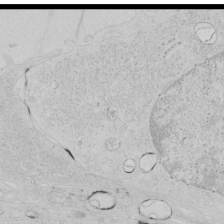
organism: Human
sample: Mitochondria in HCT116 cells